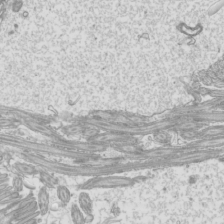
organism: Mouse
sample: Cilia; mouse epididymis